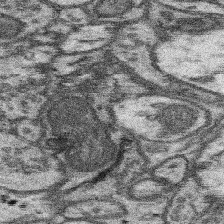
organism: Mouse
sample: Somatosensory cortex neuropil